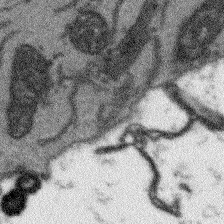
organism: Arabidopsis thaliana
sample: Root tip